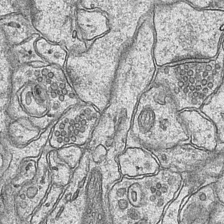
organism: Mouse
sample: CA1 Hippocampus